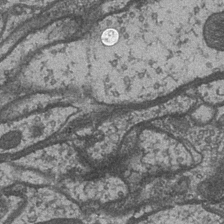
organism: Drosophila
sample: Optic medulla